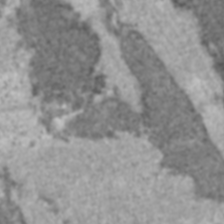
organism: C57BL Mouse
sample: Heart